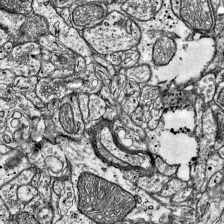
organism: Mouse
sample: Visual Cortex